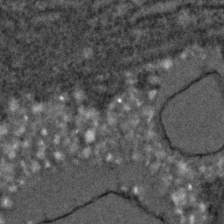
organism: C. elegans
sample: C. elegans embryo